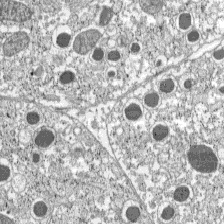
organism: C57BL Mouse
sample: Pancreatic islet